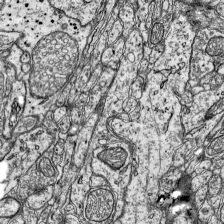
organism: Mouse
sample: Visual Cortex